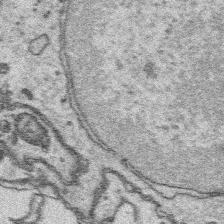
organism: Platynereis dumerilii